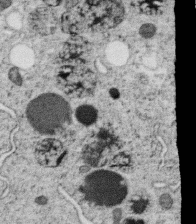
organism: C. elegans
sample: C. elegans oocyte; sperm cells